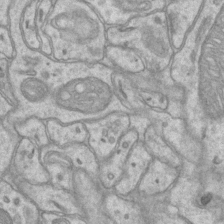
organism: Mouse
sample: CA1 Hippocampus